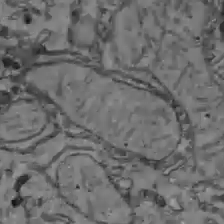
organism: C57BL Mouse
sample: Liver